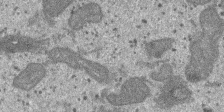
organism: Human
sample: Lung epithelial cells infected with SARS-CoV-2